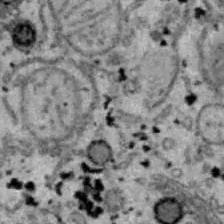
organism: Mouse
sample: Liver from an obese (ob/ob) mouse